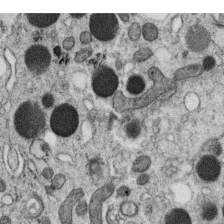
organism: C. elegans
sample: C. elegans oocyte; sperm cells